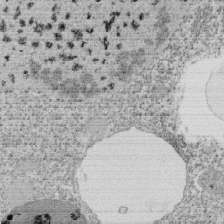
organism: Tetrahymena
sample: Cilia in tetrahymena